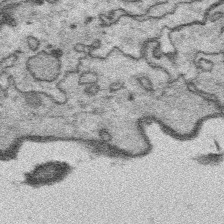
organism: Platynereis dumerilii